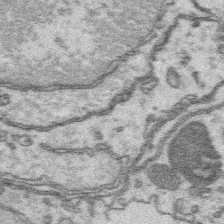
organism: Platynereis dumerilii